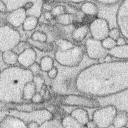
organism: Rabbit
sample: Retina